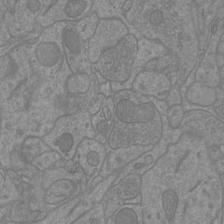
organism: Mouse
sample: Cortical neurons